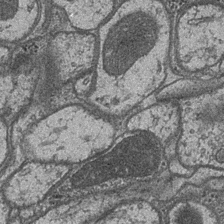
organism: Drosophila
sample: Optic medulla